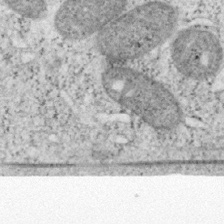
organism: Mouse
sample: OT-I killer T cells with ID8 ovarian cancer cells